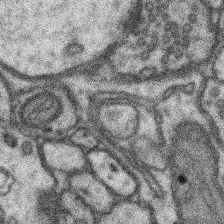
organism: Mouse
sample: Somatosensory cortex neuropil